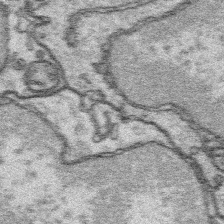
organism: Platynereis dumerilii